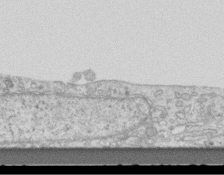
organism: Mouse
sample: Centriole in ependymal cells